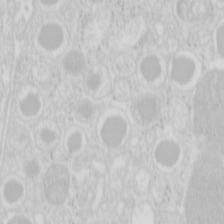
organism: Mouse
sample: Pancreas